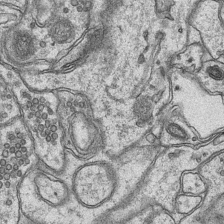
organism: Mouse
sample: CA1 Hippocampus